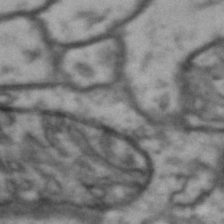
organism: Drosophila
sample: Brain